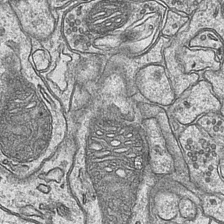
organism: Mouse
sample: CA1 Hippocampus